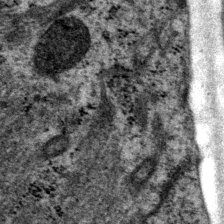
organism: P. pacificus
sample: Pharynx